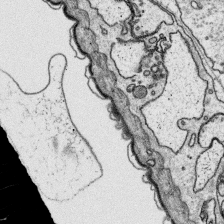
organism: Platynereis dumerilii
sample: Parapodia